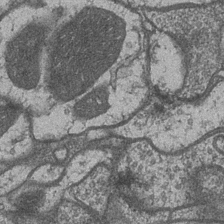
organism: Drosophila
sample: Optic medulla